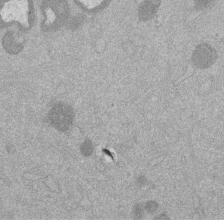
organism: Mouse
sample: Dividing mouse embryo 1 cell stage